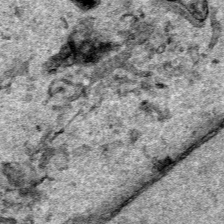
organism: Human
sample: Mitochondria in HCT116 cells